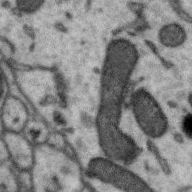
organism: Zebra finch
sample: Brain